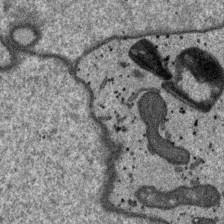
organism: Human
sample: Lung epithelial cells, uninfected (mock) control